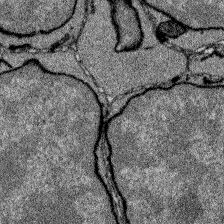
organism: Zebrafish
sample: Larval olfactory bulb